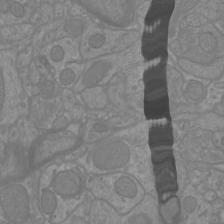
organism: Mouse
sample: Cortical neurons